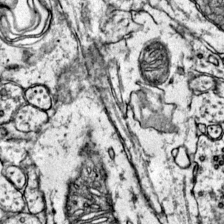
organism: Mouse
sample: Primary visual cortex